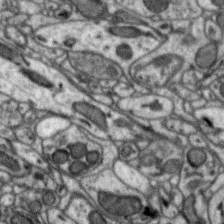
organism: Zebra finch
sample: Brain